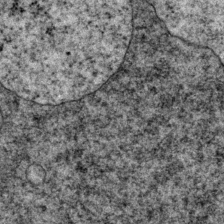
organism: P. pacificus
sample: Pharynx